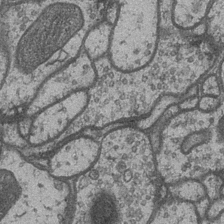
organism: Drosophila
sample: Optic medulla